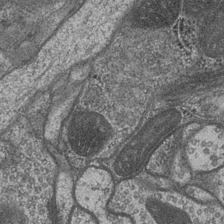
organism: Drosophila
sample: Optic medulla